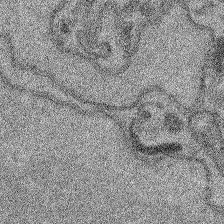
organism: Human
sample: HeLa cells